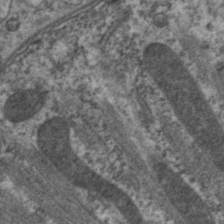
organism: C. elegans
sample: Pharynx